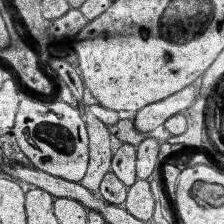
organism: Human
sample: Temporal Lobe